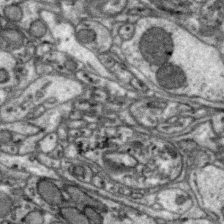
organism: Zebra finch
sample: Brain